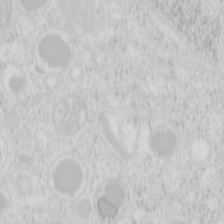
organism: Mouse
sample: Pancreas